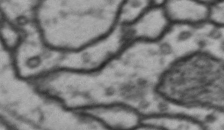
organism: Drosophila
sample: Brain